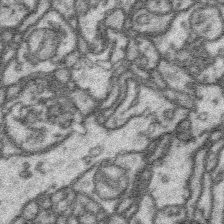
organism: Platynereis dumerilii